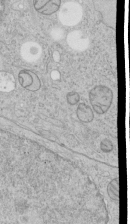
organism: Human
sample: Mitochondria in HCT116 cells